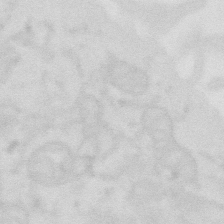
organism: Human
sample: HeLa cells